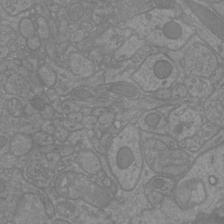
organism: Mouse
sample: Cortical neurons